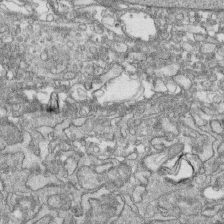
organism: Human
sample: CRL-1474